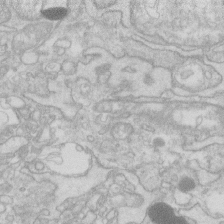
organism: Human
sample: Fibroblast cells